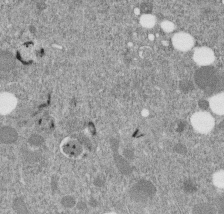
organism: C. elegans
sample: C. elegans embryo early stage